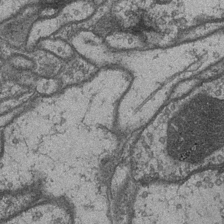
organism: Drosophila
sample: Optic medulla